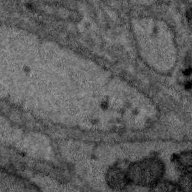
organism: Zebra finch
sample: Brain